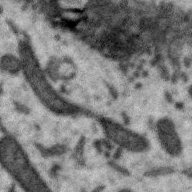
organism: Zebra finch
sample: Brain